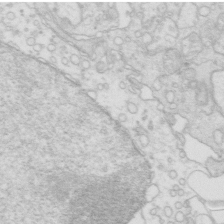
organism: Mouse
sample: Multiciliated cells